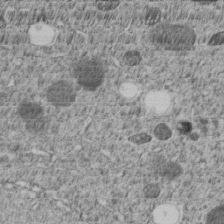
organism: C. elegans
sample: C. elegans embryo early stage